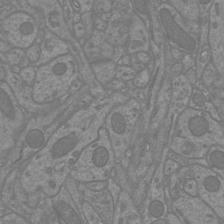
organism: Mouse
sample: Cortical neurons